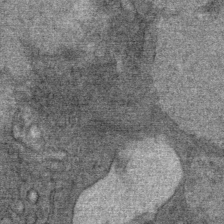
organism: Mouse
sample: Mouse Salivary gland